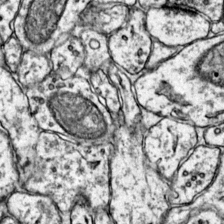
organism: Mouse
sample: Primary visual cortex